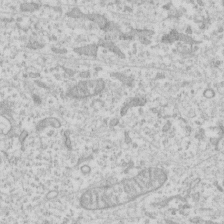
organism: Human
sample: Fibroblast cells